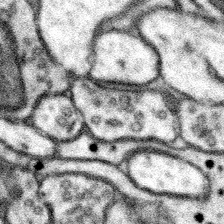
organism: Mouse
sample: Somatosensory cortex neuropil